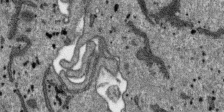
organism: Human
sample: Lung epithelial cells, uninfected (mock) control